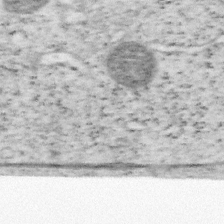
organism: Mouse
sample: OT-I killer T cells with ID8 ovarian cancer cells